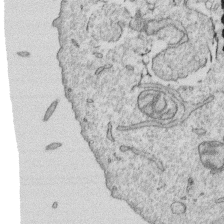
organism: Human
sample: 1205lu cells